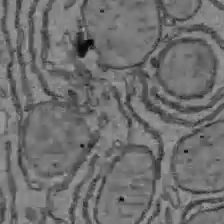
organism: C57BL Mouse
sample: Liver